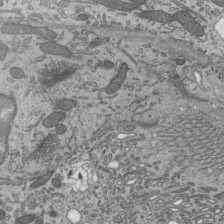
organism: Mouse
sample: Mouse epididymis efferent ductule cilia